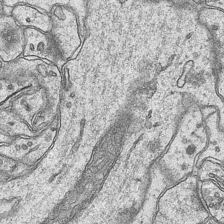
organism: Mouse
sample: CA1 Hippocampus